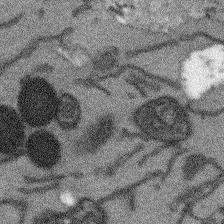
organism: Arabidopsis thaliana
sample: Root tip